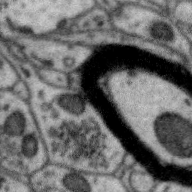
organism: Zebra finch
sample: Brain